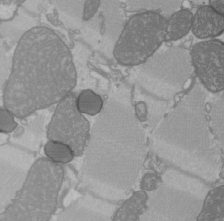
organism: C57BL Mouse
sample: Heart